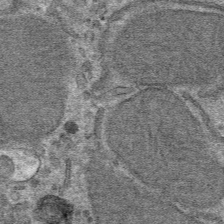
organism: Mouse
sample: Mouse hepatocytes